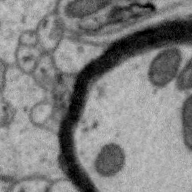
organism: Zebra finch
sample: Brain